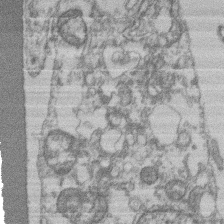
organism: Mouse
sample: T cell stromal cell synapse